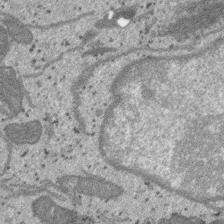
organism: Human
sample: Lung epithelial cells infected with SARS-CoV-2